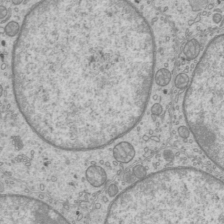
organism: Mouse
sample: Cilia; mouse epididymis